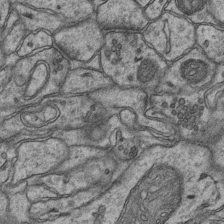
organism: Mouse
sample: CA1 Hippocampus